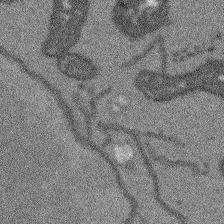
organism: Arabidopsis thaliana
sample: Root tip